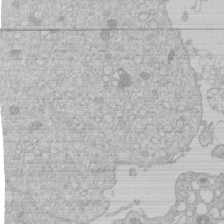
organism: Human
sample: Macrophage cells